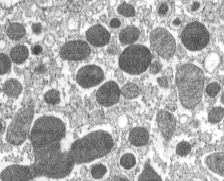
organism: C57BL Mouse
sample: Pancreatic islet